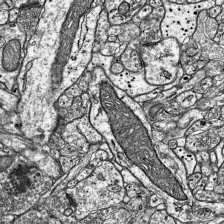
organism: Mouse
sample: Visual Cortex